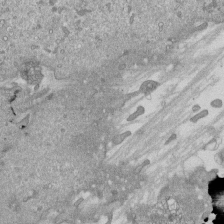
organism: Mouse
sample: ED-1 cell nuclei; centrioles